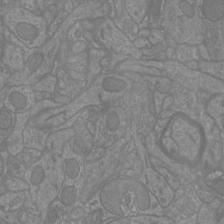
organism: Mouse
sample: Cortical neurons